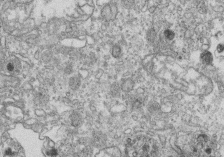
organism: Human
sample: HeLa cell HIV synapse